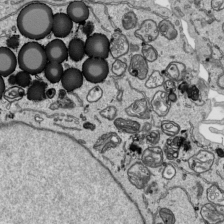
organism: Human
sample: Mitochondria in HCT116 cells